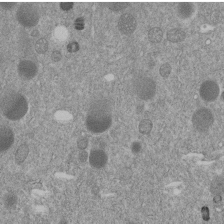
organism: C. elegans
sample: C. elegans embryo early stage